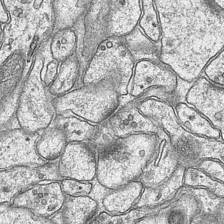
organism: Mouse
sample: CA1 Hippocampus